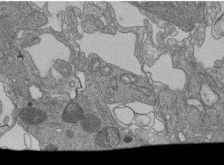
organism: Human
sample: Retinal organoid Rod and Cone cells